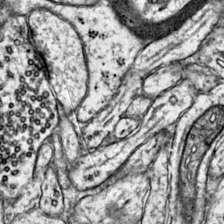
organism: Mouse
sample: Primary visual cortex